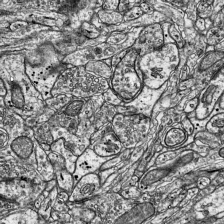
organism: Mouse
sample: Visual Cortex